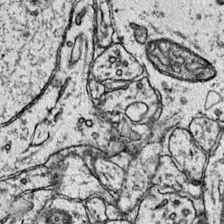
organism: Mouse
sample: Primary visual cortex